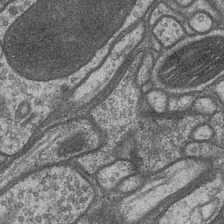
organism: Drosophila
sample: Optic medulla